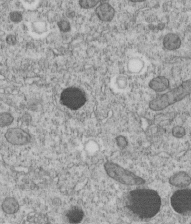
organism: C. elegans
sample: C. elegans embryo early stage